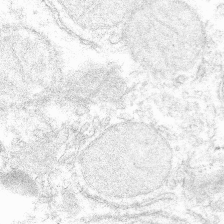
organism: Mouse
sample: Mouse hepatocytes